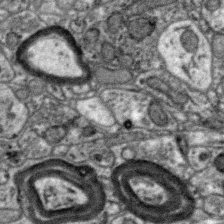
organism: Zebra finch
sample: Brain